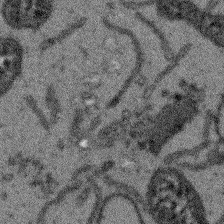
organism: Arabidopsis thaliana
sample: Root tip